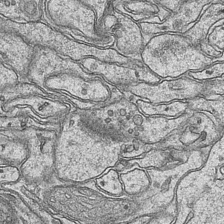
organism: Mouse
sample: CA1 Hippocampus